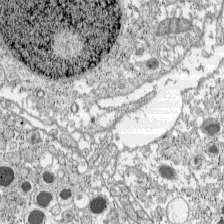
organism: C57BL Mouse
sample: Pancreatic islet